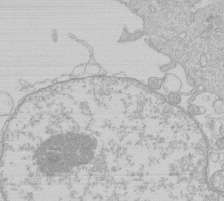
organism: Human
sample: Macrophage cells